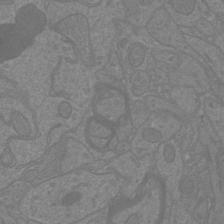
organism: Mouse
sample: Cortical neurons